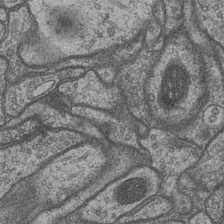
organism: Drosophila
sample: Optic medulla